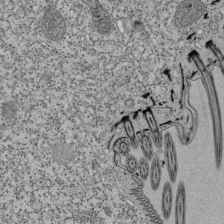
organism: Tetrahymena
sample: Cilia in tetrahymena